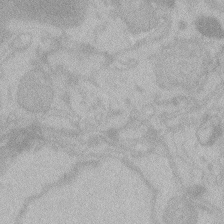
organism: Zebrafish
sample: Macrophage infected with Toxoplasma gondii